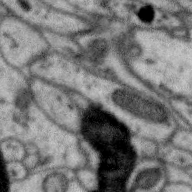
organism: Zebra finch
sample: Brain